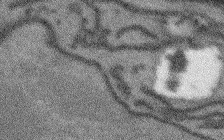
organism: Arabidopsis thaliana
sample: Root tip